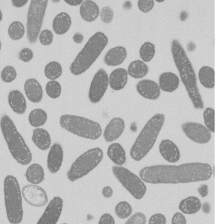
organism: E. coli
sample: Bacterial nucleoid